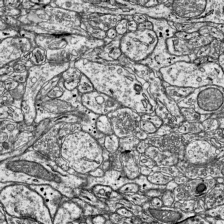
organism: Mouse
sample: Visual Cortex